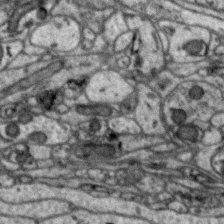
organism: Zebra finch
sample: Brain